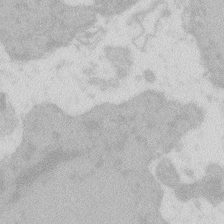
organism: Zebrafish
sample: Macrophage